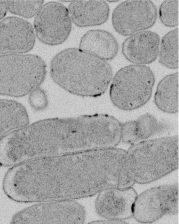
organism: E. coli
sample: Bacterial nucleoid